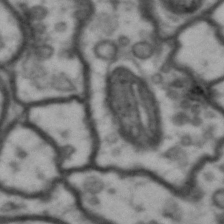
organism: Drosophila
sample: Brain